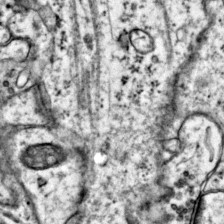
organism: Mouse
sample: Primary visual cortex